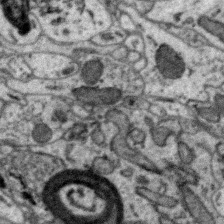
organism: Zebra finch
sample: Brain